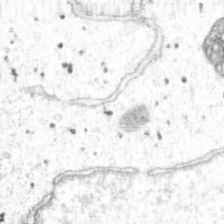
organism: Human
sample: HeLa cells